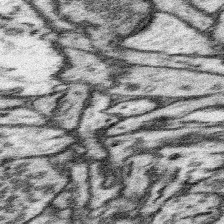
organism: Mouse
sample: Somatosensory cortex neuropil